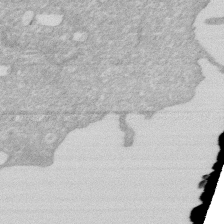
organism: Human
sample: HIV infected U937 cells